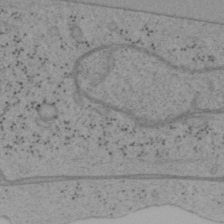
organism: Human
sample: HeLa cells